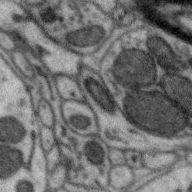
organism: Zebra finch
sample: Brain